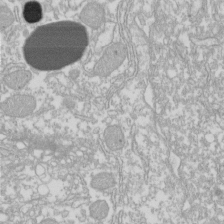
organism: Xenopus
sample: Cilia; centrioles in frog embryo cells